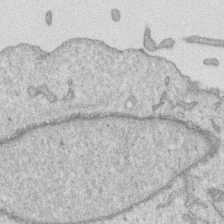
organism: Human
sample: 1205lu cells